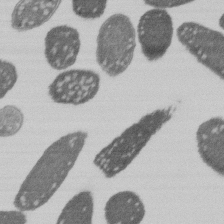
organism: E. coli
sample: Bacterial nucleoid